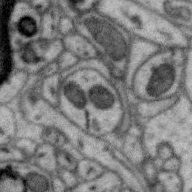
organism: Zebra finch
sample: Brain